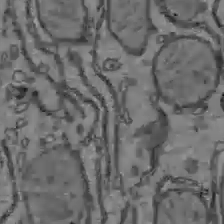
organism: C57BL Mouse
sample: Liver